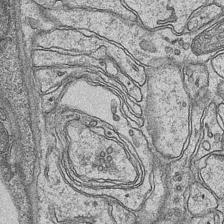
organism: Mouse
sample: CA1 Hippocampus